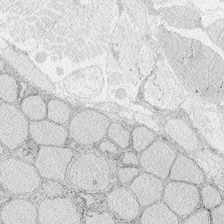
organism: Zebrafish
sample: Whole-Brain